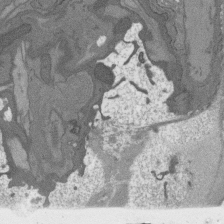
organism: C. elegans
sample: AFD neurons C. elegans